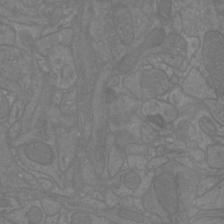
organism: Mouse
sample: Cortical neurons